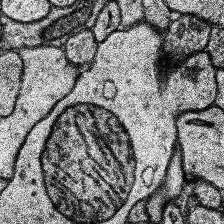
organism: Human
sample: Temporal Lobe